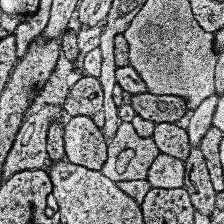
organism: Human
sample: Temporal Lobe